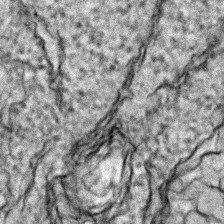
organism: Zebrafish